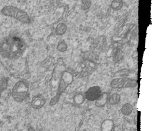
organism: Human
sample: MDA-MB-231 cells